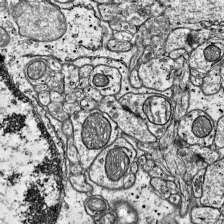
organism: Mouse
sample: Visual Cortex